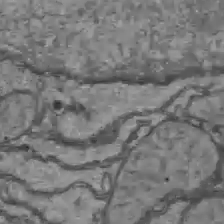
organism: C57BL Mouse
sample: Liver